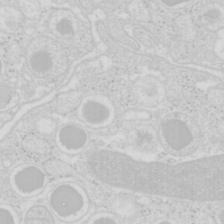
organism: Mouse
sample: Pancreas